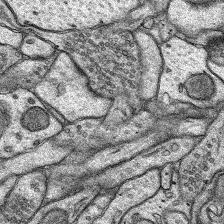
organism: Rat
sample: Hippocampus